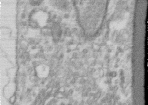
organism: Human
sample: Centriole in RPE cells